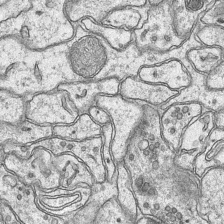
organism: Mouse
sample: CA1 Hippocampus